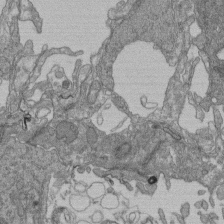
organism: Human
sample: Retinal organoid Rod and Cone cells